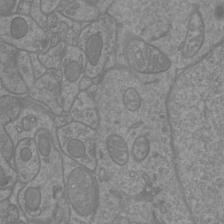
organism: Mouse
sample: Cortical neurons